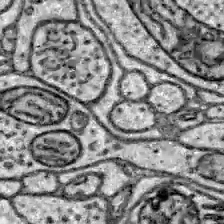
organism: Zebrafish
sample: Brain